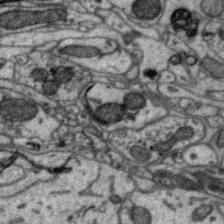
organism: Zebra finch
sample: Brain